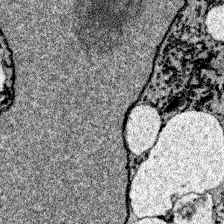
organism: Zebrafish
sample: Larval olfactory bulb